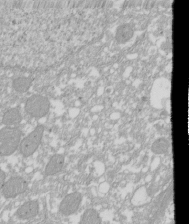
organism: Xenopus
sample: Cilia; centrioles in frog embryo cells